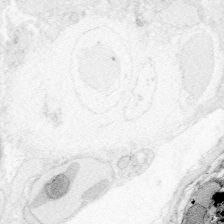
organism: Zebrafish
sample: Whole-Brain